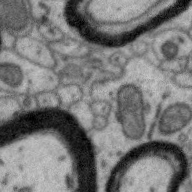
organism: Zebra finch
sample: Brain